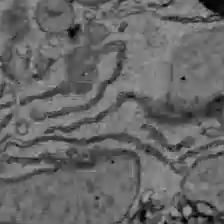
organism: C57BL Mouse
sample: Liver